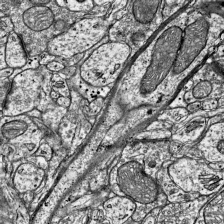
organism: Mouse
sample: Visual Cortex